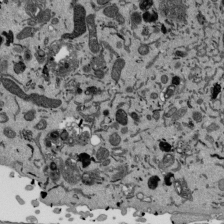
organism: Mouse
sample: ED-1 cell nuclei; centrioles